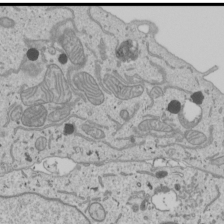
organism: Human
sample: Mitochondria in U2OS cells